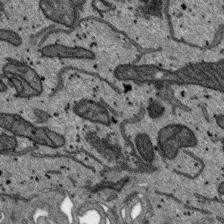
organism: Human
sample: Lung epithelial cells, uninfected (mock) control